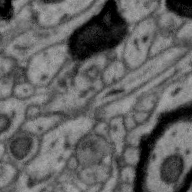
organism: Zebra finch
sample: Brain